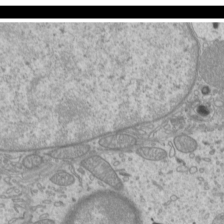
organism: Mouse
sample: Cilia; mouse epididymis